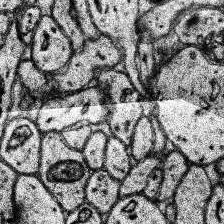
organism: Human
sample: Temporal Lobe